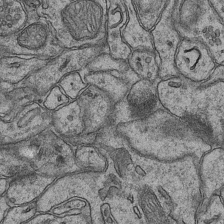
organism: Mouse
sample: CA1 Hippocampus